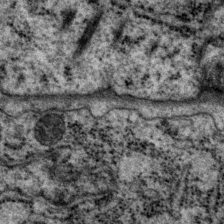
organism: P. pacificus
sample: Pharynx